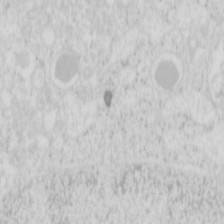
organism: Mouse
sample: Pancreas